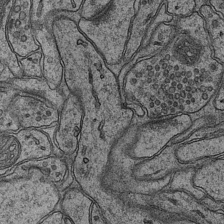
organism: Mouse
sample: CA1 Hippocampus